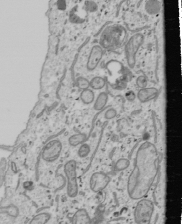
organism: Human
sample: Mitochondria in U2OS cells